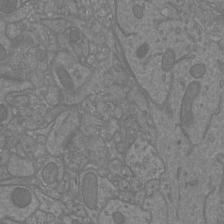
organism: Mouse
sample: Cortical neurons